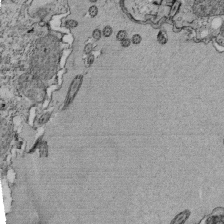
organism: Tetrahymena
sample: Cilia in tetrahymena